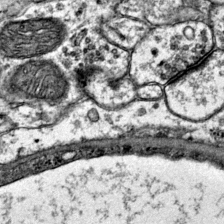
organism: Mouse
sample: Primary visual cortex